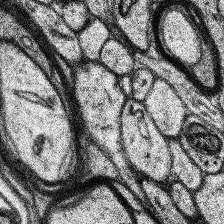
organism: Human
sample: Temporal Lobe